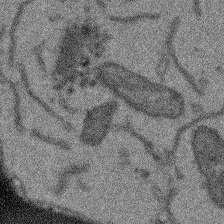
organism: Arabidopsis thaliana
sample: Root tip